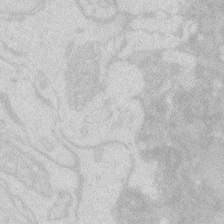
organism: Zebrafish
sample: Macrophage